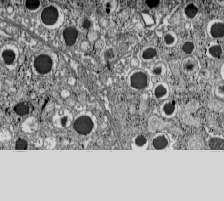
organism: C57BL Mouse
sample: Pancreatic islet